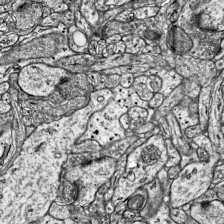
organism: Mouse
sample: Visual Cortex